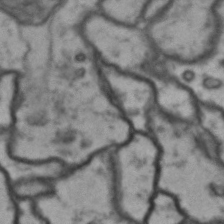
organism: Drosophila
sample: Brain